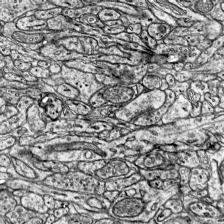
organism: Mouse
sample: Visual Cortex